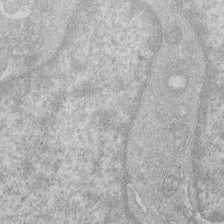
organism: Human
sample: Macrophage cells